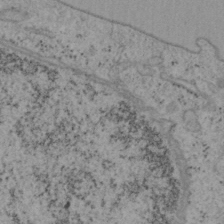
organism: Human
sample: HeLa cells